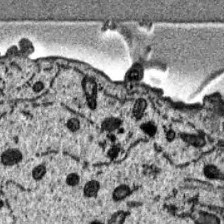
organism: Human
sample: HeLa cells